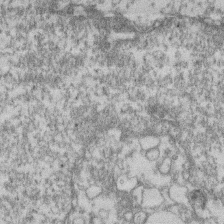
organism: Mouse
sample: T cell stromal cell synapse